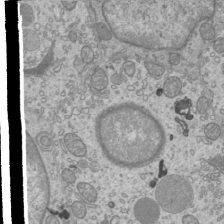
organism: Mouse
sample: Cilia; mouse epididymis